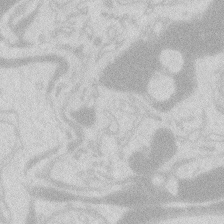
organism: Zebrafish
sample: Macrophage